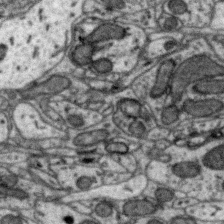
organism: Zebra finch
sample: Brain